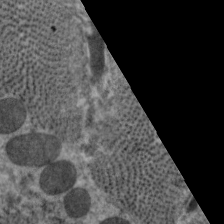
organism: C. elegans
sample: Pharynx